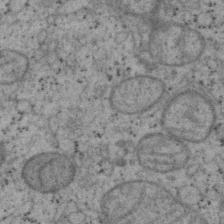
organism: Human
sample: HeLa cells